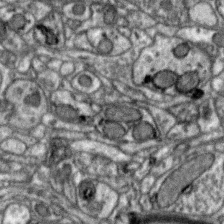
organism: Zebra finch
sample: Brain